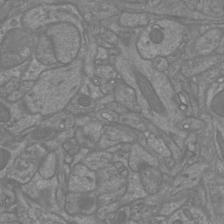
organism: Mouse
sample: Cortical neurons